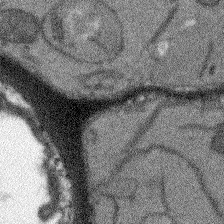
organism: Arabidopsis thaliana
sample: Root tip